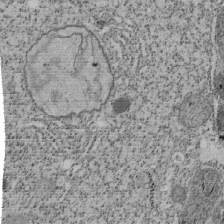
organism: Tetrahymena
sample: Cilia in tetrahymena